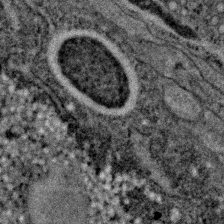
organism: C. elegans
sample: C. elegans embryo